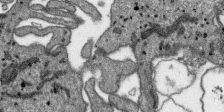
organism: Human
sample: Lung epithelial cells, uninfected (mock) control